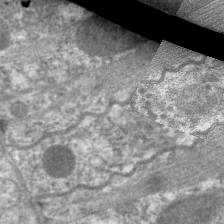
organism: C. elegans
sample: Pharynx